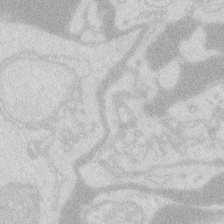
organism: Zebrafish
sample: Macrophage